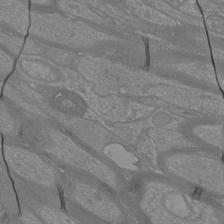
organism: Mouse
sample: Cortical neurons